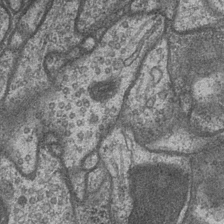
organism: Drosophila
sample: Optic medulla